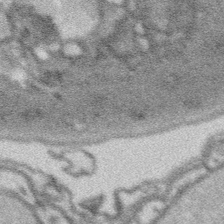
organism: Platynereis dumerilii